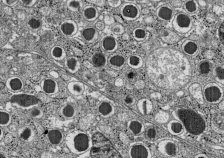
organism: C57BL Mouse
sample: Pancreatic islet